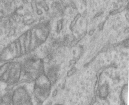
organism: Human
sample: Centriole in RPE cells